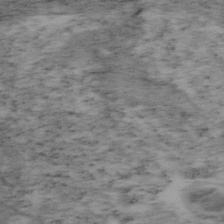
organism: Mouse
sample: OT-I killer T cells with ID8 ovarian cancer cells